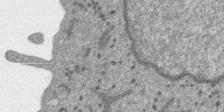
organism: Human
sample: Lung epithelial cells infected with SARS-CoV-2